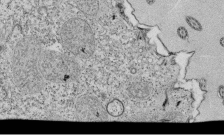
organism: Tetrahymena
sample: Cilia in tetrahymena